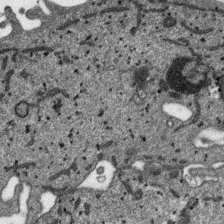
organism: Human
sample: Lung epithelial cells infected with SARS-CoV-2